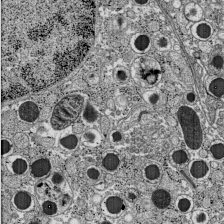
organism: C57BL Mouse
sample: Pancreatic islet